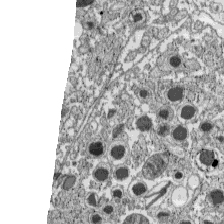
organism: C57BL Mouse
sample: Pancreatic islet